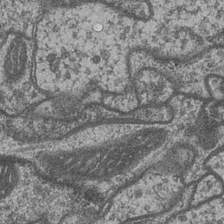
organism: Drosophila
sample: Optic medulla